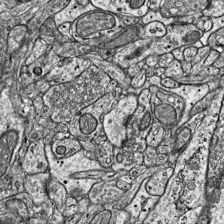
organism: Mouse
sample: Visual Cortex